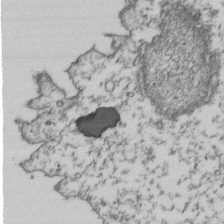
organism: Human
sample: Activated Jurkat CD4+ T cells